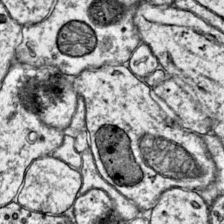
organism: Mouse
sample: Primary visual cortex